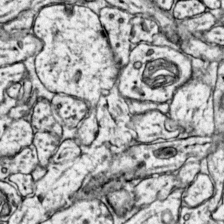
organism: Mouse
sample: Primary visual cortex